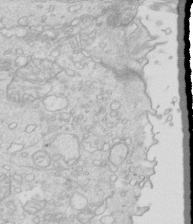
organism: Mouse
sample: Multiciliated cells